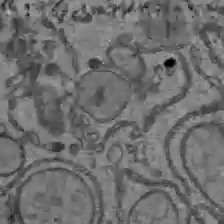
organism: C57BL Mouse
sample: Liver